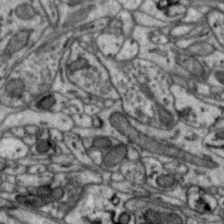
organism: Zebra finch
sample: Brain